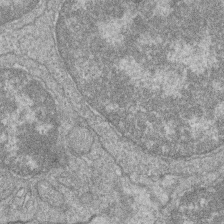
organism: Zebrafish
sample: Cilia; retinal pigment epithelium